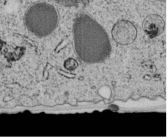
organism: C. elegans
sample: C. elegans embryo early stage